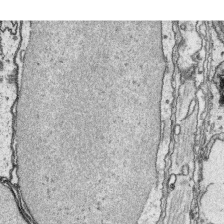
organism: Platynereis dumerilii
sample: Parapodia